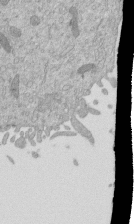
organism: Mouse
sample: ED-1 cell nuclei; centrioles